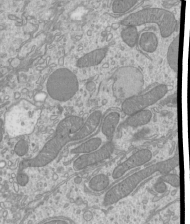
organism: Mouse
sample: Cilia; mouse epididymis